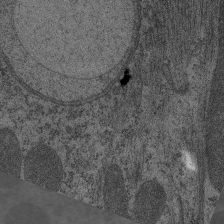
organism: C. elegans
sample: Pharynx